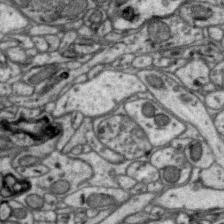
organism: Zebra finch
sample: Brain